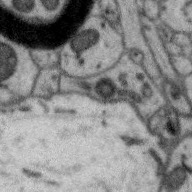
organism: Zebra finch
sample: Brain